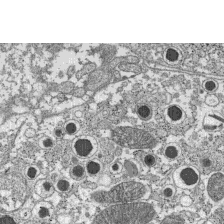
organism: C57BL Mouse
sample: Pancreatic islet